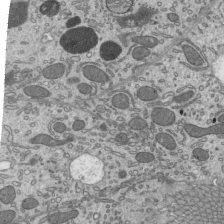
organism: Mouse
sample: Mouse epididymis efferent ductule cilia